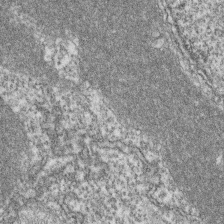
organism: Zebrafish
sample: Cilia; retinal pigment epithelium